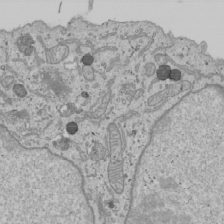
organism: Human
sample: Mitochondria in U2OS cells